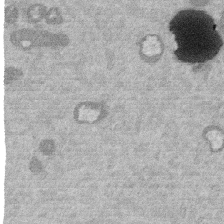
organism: Mouse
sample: Dividing mouse embryo 1 cell stage